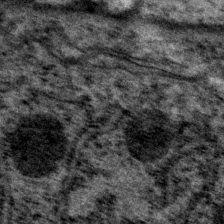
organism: P. pacificus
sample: Pharynx